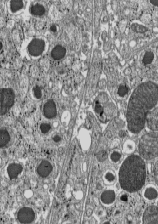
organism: C57BL Mouse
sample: Pancreatic islet